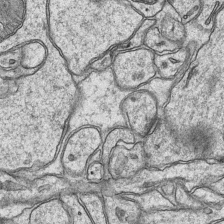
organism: Mouse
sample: CA1 Hippocampus